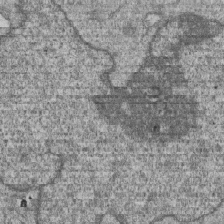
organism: Human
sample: MDA-MB-231 cells